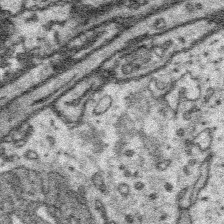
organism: Platynereis dumerilii